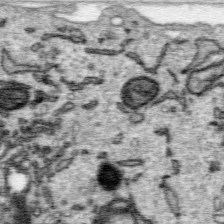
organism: Human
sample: HeLa cells